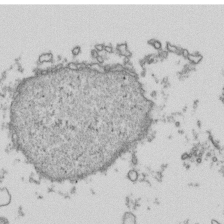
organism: Human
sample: Activated Jurkat CD4+ T cells